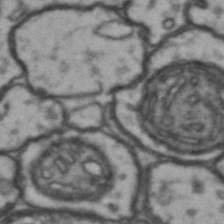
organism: Drosophila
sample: Brain